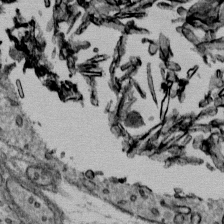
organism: Mouse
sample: Mouse Salivary gland